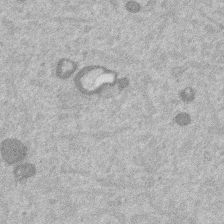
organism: Mouse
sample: Dividing mouse embryo 1 cell stage